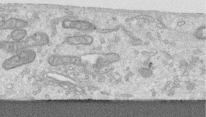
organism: Human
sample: Centriole in RPE cells